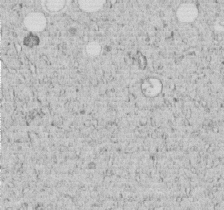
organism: C. elegans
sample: C. elegans embryo early stage